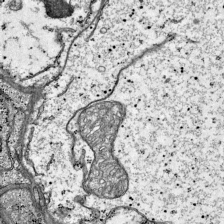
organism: Mouse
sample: Visual Cortex